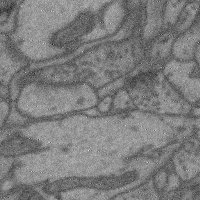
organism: Mouse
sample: Cerebral cortex